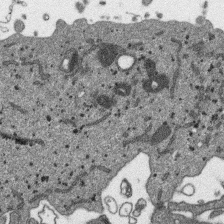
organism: Human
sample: Lung epithelial cells infected with SARS-CoV-2